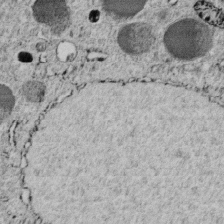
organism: C. elegans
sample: C. elegans embryo early stage